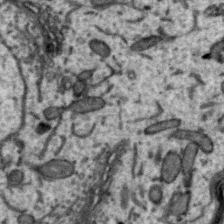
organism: Zebra finch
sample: Brain